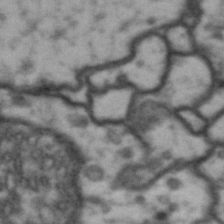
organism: Drosophila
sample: Brain